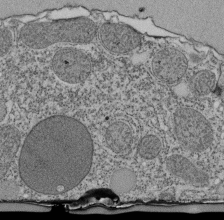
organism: Tetrahymena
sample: Cilia in tetrahymena